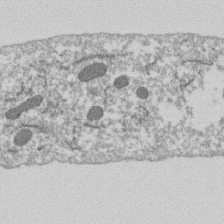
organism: Dictyostelium discoideum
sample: Dictyostelium multivesicular bodies